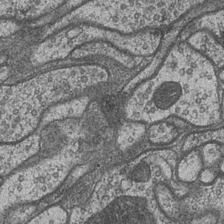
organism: Drosophila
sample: Optic medulla